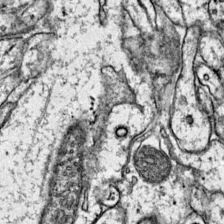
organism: Mouse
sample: Primary visual cortex